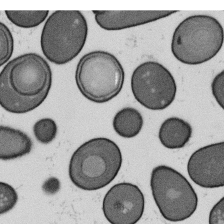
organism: B. subtilis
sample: Bacterial spore